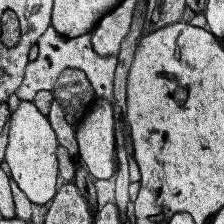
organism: Human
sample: Temporal Lobe